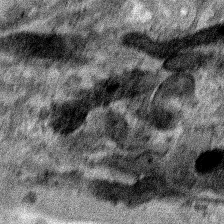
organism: Human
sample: Mitochondria in HCT116 cells